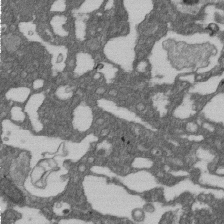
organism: Drosophila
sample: Nephrocyte